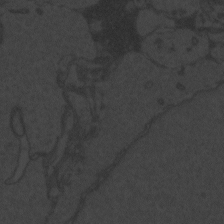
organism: Zebrafish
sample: Macrophage infected with Toxoplasma gondii